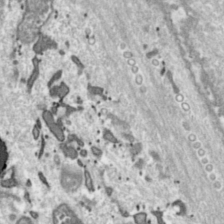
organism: Toxoplasma gondii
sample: Parasites in a vacuole inside a host cell